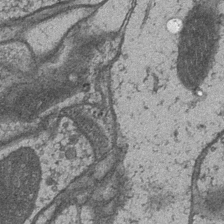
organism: Drosophila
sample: Optic medulla